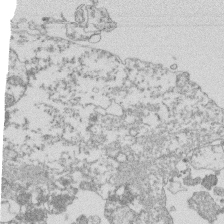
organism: Human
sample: HeLa cell HIV synapse